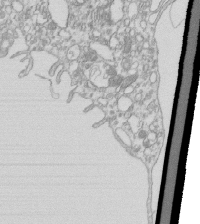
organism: Mouse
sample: Macrophages